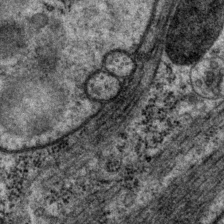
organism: P. pacificus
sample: Pharynx